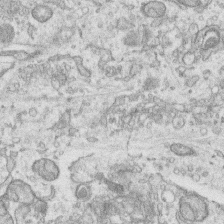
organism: Human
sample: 1205lu cells